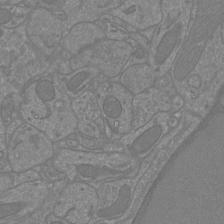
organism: Mouse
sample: Cortical neurons